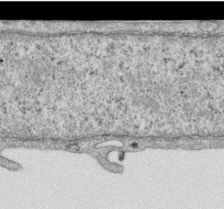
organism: Human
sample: Centriole in RPE cells